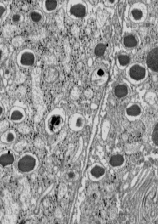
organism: C57BL Mouse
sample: Pancreatic islet